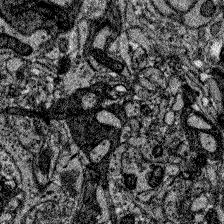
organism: Zebrafish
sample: Larval olfactory bulb